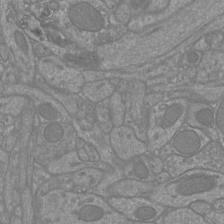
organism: Mouse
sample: Cortical neurons